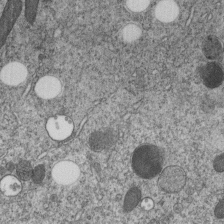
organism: C. elegans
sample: C. elegans embryo early stage